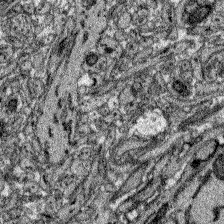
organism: Zebrafish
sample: Larval olfactory bulb